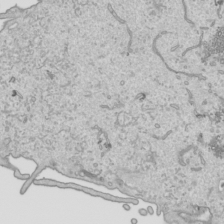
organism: Human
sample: Mitochondria in HCT116 cells